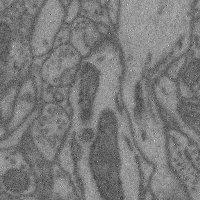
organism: Mouse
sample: Cerebral cortex